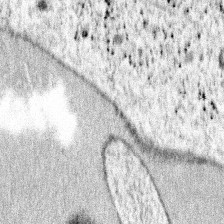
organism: Human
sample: HeLa cells